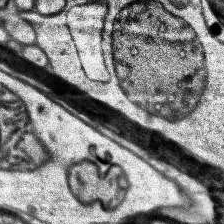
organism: Human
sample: Temporal Lobe